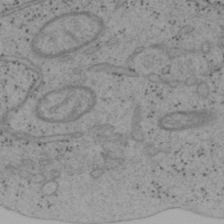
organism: Human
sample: HeLa cells